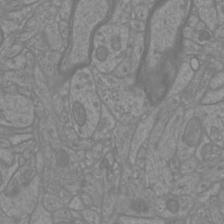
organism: Mouse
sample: Cortical neurons